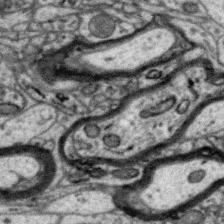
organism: Zebra finch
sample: Brain